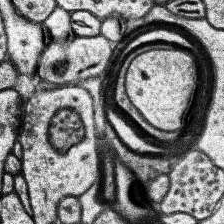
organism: Human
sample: Temporal Lobe